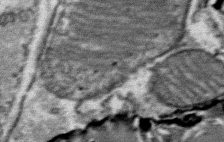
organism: Mouse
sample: Mouse Salivary gland